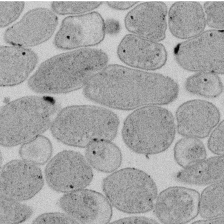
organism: E. coli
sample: Bacterial nucleoid